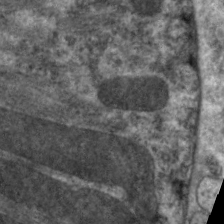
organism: C. elegans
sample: Pharynx